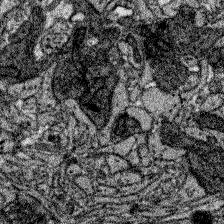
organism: Zebrafish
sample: Larval olfactory bulb